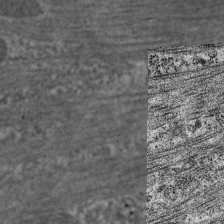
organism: C. elegans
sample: Pharynx